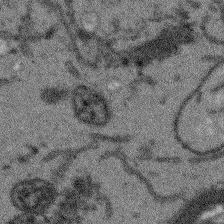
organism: Arabidopsis thaliana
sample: Root tip